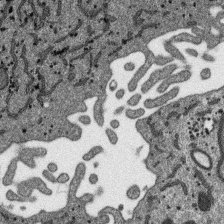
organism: Human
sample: Lung epithelial cells infected with SARS-CoV-2